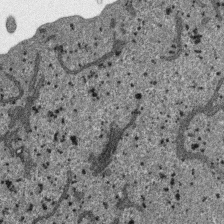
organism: Human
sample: Lung epithelial cells infected with SARS-CoV-2